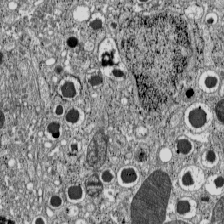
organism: C57BL Mouse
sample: Pancreatic islet